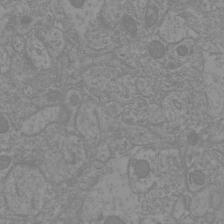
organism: Mouse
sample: Cortical neurons